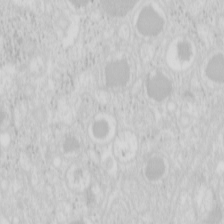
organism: Mouse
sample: Pancreas